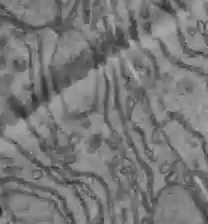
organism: C57BL Mouse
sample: Liver